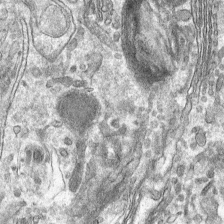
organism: Mouse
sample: Mouse hepatocytes